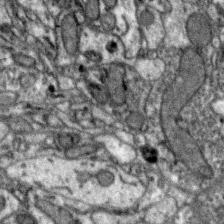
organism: Zebra finch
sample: Brain